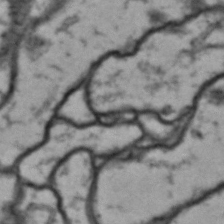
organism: Drosophila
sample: Brain